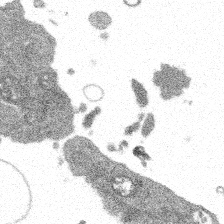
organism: Spongilla lacustris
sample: Multiple